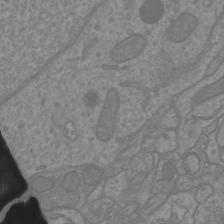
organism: Mouse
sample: Cortical neurons